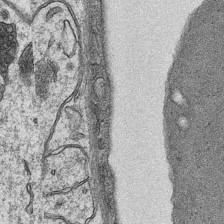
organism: Mouse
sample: CA1 Hippocampus